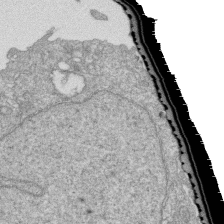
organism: Human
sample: HeLa cell HIV synapse